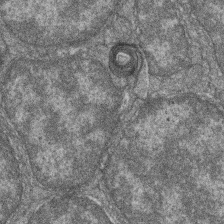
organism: Zebrafish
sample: Cilia; retinal pigment epithelium